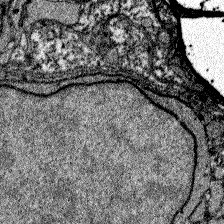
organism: Zebrafish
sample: Larval olfactory bulb